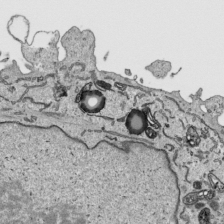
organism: Human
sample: Mitochondria in HCT116 cells